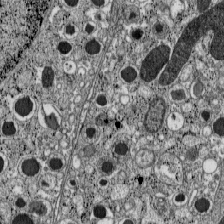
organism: C57BL Mouse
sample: Pancreatic islet